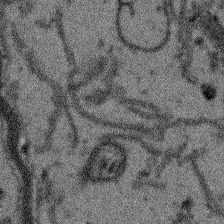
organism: Arabidopsis thaliana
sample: Root tip